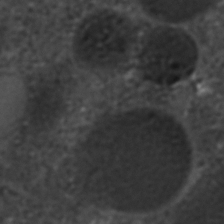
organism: C. elegans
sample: C. elegans embryo